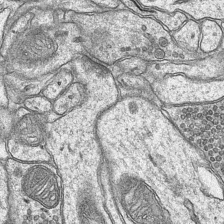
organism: Mouse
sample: CA1 Hippocampus